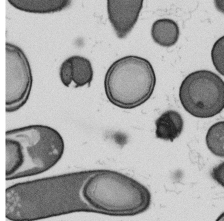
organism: B. subtilis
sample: Bacterial spore